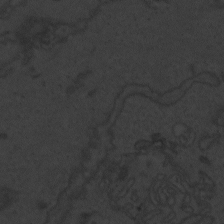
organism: Zebrafish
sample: Macrophage infected with Toxoplasma gondii